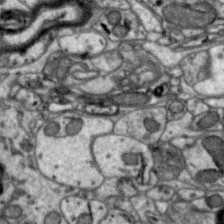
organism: Zebra finch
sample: Brain